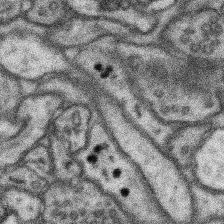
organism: Mouse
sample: Somatosensory cortex neuropil